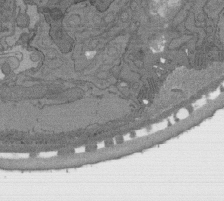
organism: C. elegans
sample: AFD neurons C. elegans